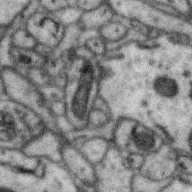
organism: Zebra finch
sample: Brain